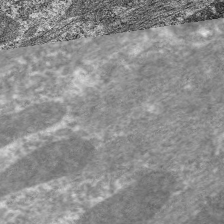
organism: C. elegans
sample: Pharynx